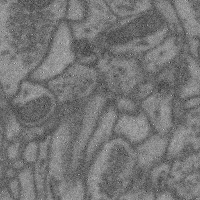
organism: Mouse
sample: Cerebral cortex